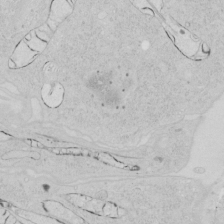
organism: Human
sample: Mitochondria in HCT116 cells